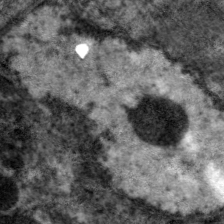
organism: C. elegans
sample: Pharynx